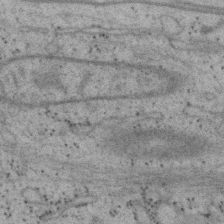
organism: Human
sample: HeLa cells